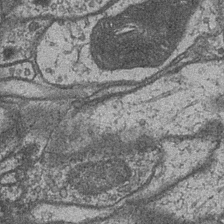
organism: Drosophila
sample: Optic medulla